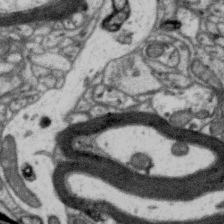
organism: Zebra finch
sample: Brain